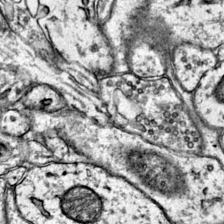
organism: Mouse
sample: Primary visual cortex